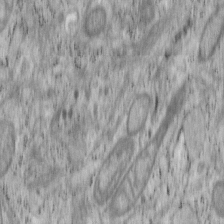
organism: Human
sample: HeLa cells